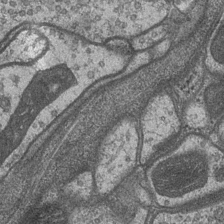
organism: Drosophila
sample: Optic medulla